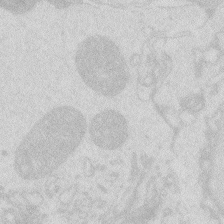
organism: Zebrafish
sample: Macrophage